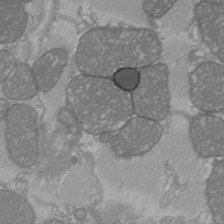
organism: C57BL Mouse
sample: Heart